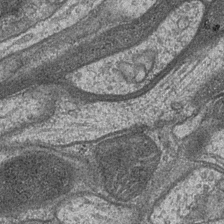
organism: Drosophila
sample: Optic medulla